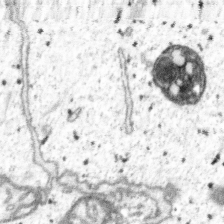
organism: Human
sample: HeLa cells